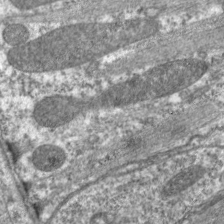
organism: C. elegans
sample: Pharynx